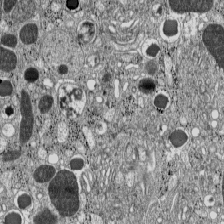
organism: C57BL Mouse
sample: Pancreatic islet